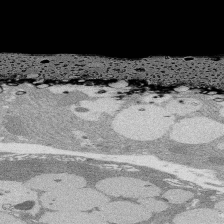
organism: Rat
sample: Salivary granule